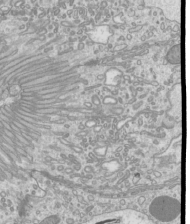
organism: Mouse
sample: Cilia; mouse epididymis